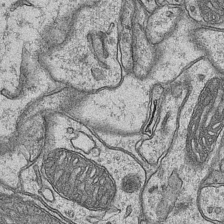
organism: Mouse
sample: CA1 Hippocampus